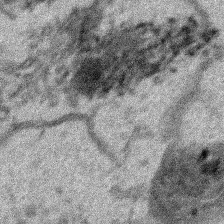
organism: Human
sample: Mitochondria in HCT116 cells